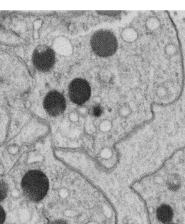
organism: C. elegans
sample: C. elegans oocyte; sperm cells